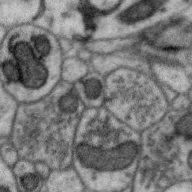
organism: Zebra finch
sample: Brain